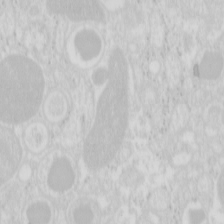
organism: Mouse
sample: Pancreas